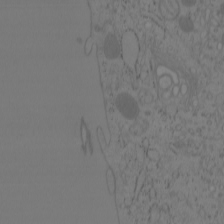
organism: Human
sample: HeLa cells